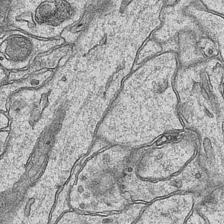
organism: Mouse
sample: CA1 Hippocampus